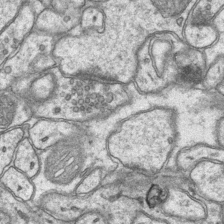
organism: Mouse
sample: CA1 Hippocampus